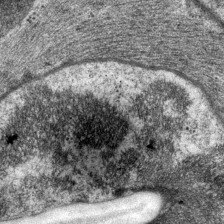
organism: P. pacificus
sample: Pharynx